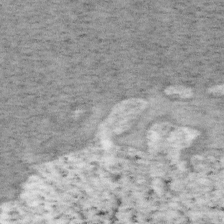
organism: Mouse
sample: OT-I killer T cells with ID8 ovarian cancer cells